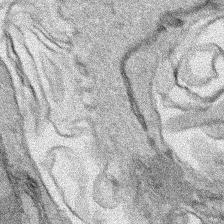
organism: Human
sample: Mitochondria in HCT116 cells